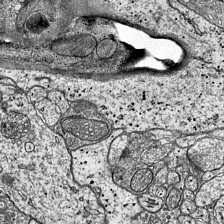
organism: Mouse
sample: Visual Cortex